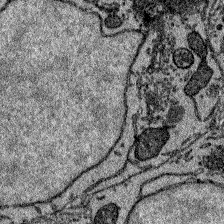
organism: Zebrafish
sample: Larval olfactory bulb